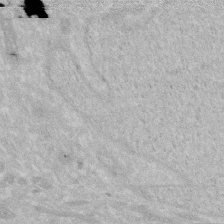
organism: Human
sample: HIV infected U937 cells